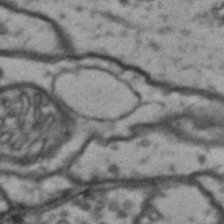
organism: Drosophila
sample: Brain